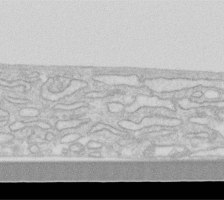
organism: Human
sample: Fibroblast cells